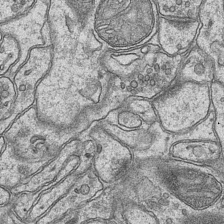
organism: Mouse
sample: CA1 Hippocampus